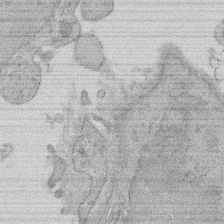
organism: Rat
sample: Salivary granule